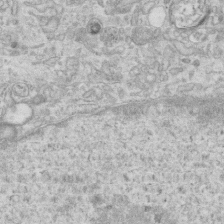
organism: Mouse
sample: Centriole in ependymal cells